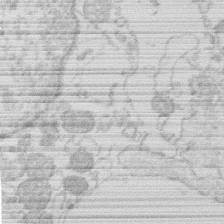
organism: Human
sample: Macrophage cells